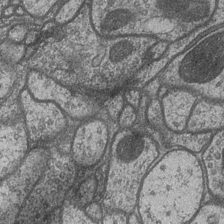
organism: Drosophila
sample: Optic medulla